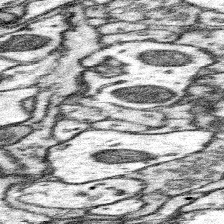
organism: Mouse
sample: Somatosensory cortex neuropil